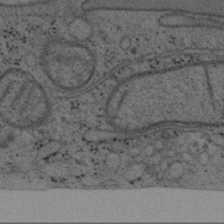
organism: Human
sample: HeLa cells